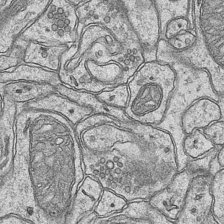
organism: Mouse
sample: CA1 Hippocampus